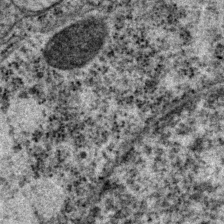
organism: P. pacificus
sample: Pharynx